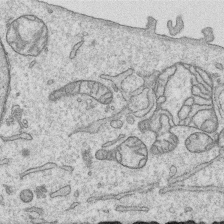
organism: Human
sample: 1205lu cells